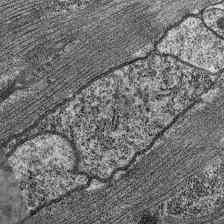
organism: C. elegans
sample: Pharynx